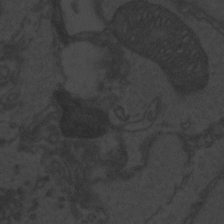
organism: Zebrafish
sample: Macrophage infected with Toxoplasma gondii